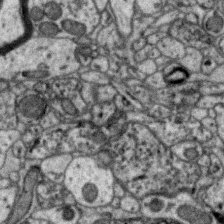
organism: Zebra finch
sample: Brain